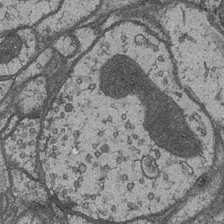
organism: Drosophila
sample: Optic medulla